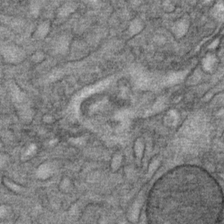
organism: Mouse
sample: Mouse Salivary gland